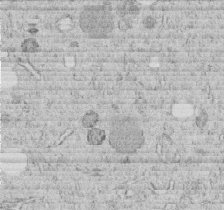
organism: C. elegans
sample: C. elegans embryo early stage